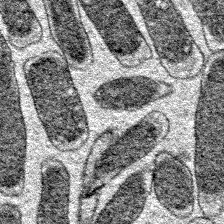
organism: E. coli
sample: E. Coli Bacteria